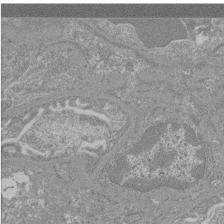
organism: Mouse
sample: Glomerulus